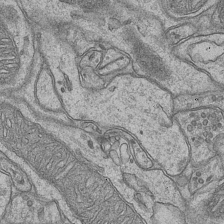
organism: Mouse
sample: CA1 Hippocampus